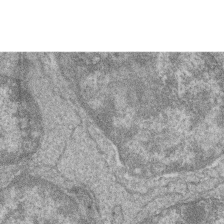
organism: Zebrafish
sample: Cilia; retinal pigment epithelium